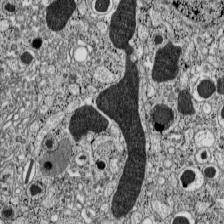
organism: C57BL Mouse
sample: Pancreatic islet